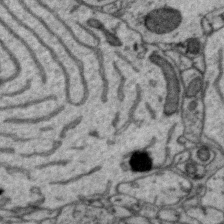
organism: Zebra finch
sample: Brain